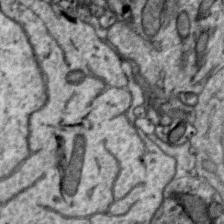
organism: Zebra finch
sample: Brain